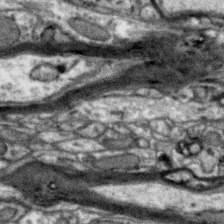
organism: Zebra finch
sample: Brain